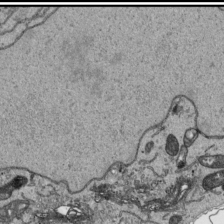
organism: Human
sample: Mitochondria in HCT116 cells